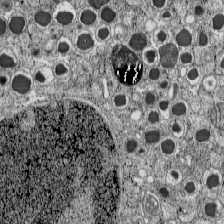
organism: C57BL Mouse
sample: Pancreatic islet